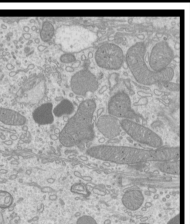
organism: Mouse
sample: Cilia; mouse epididymis